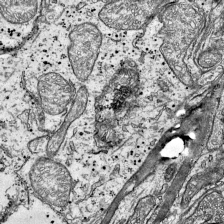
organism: Mouse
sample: Visual Cortex